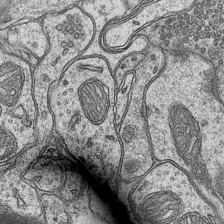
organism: Mouse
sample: CA1 Hippocampus